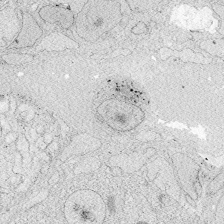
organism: Zebrafish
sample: Whole-Brain